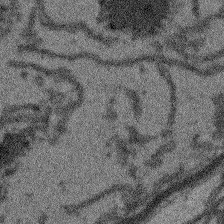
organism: Arabidopsis thaliana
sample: Root tip